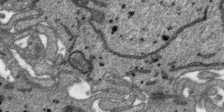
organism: Human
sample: Lung epithelial cells, uninfected (mock) control